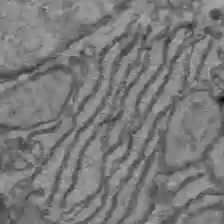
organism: C57BL Mouse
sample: Liver